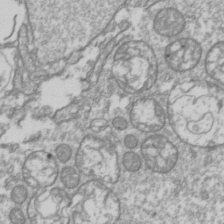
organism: Drosophila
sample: Cell division; meiosis; drosophila spermatocytes